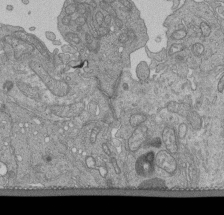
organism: Human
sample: Retinal organoid Rod and Cone cells